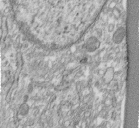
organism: Human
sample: Centriole in fibroblast cells